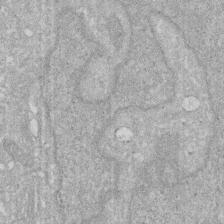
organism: Human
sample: HIV infected U937 cells